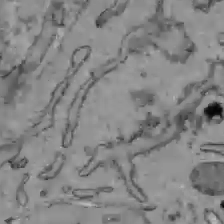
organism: C57BL Mouse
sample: Liver